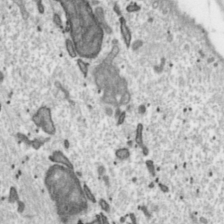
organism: Toxoplasma gondii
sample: Parasites in a vacuole inside a host cell